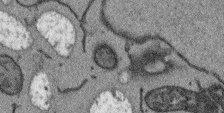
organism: Arabidopsis thaliana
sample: Root tip